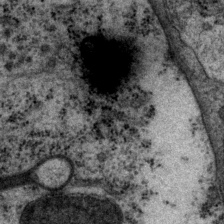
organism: P. pacificus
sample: Pharynx